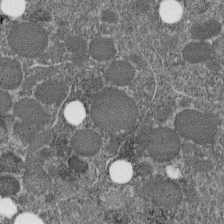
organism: C. elegans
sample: C. elegans embryo early stage